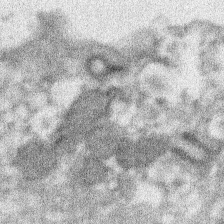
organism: Xenopus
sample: Cilia; centrioles in frog embryo cells